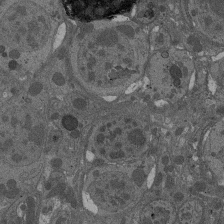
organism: Drosophila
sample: Antenna